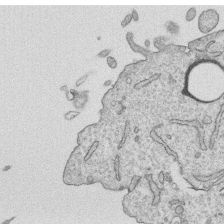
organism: Human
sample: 1205lu cells